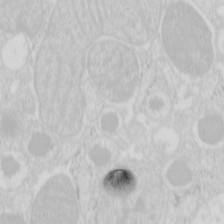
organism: Mouse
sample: Pancreas